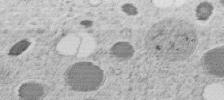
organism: C. elegans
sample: C. elegans embryo early stage